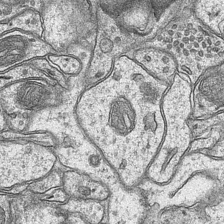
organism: Mouse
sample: CA1 Hippocampus